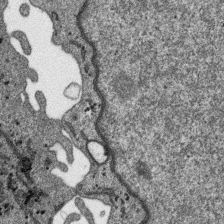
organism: Human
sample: Lung epithelial cells infected with SARS-CoV-2